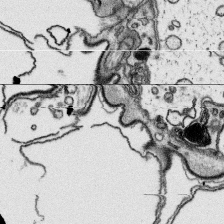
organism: Platynereis dumerilii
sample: Parapodia